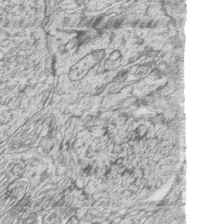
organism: Zebrafish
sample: synaptic ribbons in rod cells and cone cells